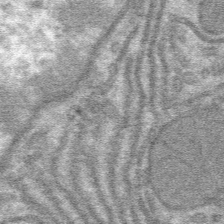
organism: Mouse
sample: Mouse hepatocytes